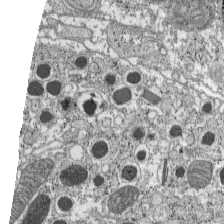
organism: C57BL Mouse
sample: Pancreatic islet